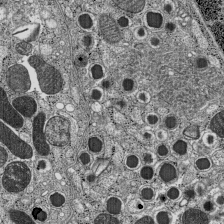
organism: C57BL Mouse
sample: Pancreatic islet